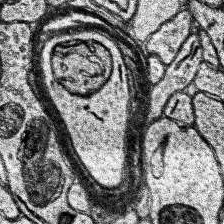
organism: Human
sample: Temporal Lobe